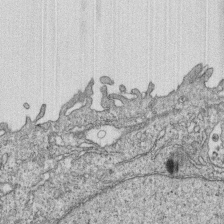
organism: Human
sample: HeLa cell HIV synapse